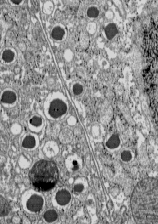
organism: C57BL Mouse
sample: Pancreatic islet